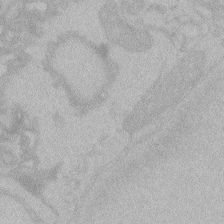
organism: Zebrafish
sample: Macrophage infected with Toxoplasma gondii